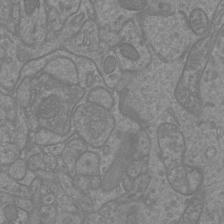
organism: Mouse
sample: Cortical neurons